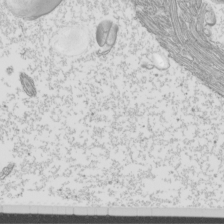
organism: Mouse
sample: Cilia; mouse epididymis